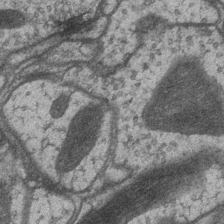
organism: Drosophila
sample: Optic medulla